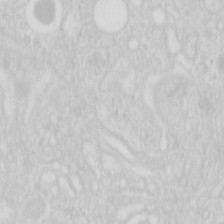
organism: Mouse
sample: Pancreas